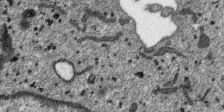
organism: Human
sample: Lung epithelial cells infected with SARS-CoV-2